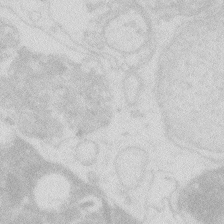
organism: Zebrafish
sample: Macrophage